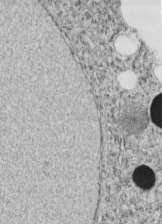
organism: C. elegans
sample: C. elegans embryo early stage